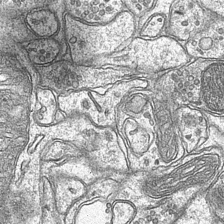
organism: Mouse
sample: CA1 Hippocampus